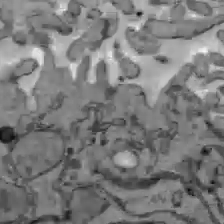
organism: C57BL Mouse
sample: Liver